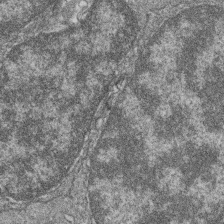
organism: Zebrafish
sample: Cilia; retinal pigment epithelium